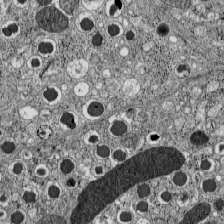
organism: C57BL Mouse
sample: Pancreatic islet